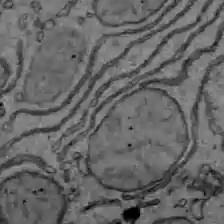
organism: C57BL Mouse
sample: Liver